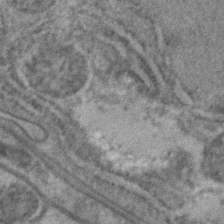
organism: C. elegans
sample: C. elegans embryo